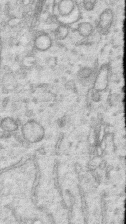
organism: Human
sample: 1205lu cells